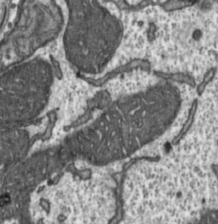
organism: Toxoplasma gondii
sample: Parasites in a vacuole inside a host cell